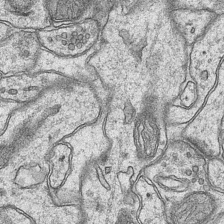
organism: Mouse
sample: CA1 Hippocampus